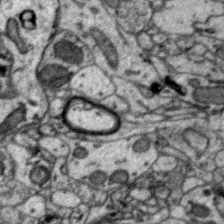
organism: Zebra finch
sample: Brain